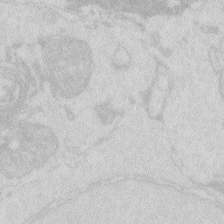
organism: Zebrafish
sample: Macrophage